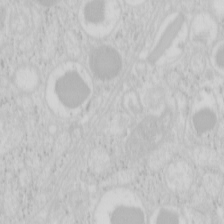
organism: Mouse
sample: Pancreas